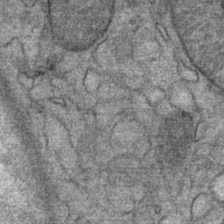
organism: Mouse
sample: Mouse Salivary gland